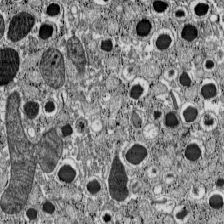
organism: C57BL Mouse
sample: Pancreatic islet